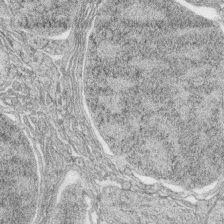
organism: Zebrafish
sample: synaptic ribbons in rod cells and cone cells